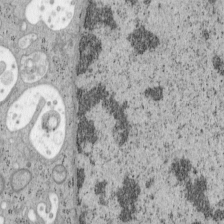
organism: Mouse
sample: OT-I killer T cells with ID8 ovarian cancer cells